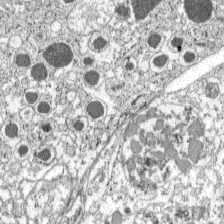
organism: C57BL Mouse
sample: Pancreatic islet